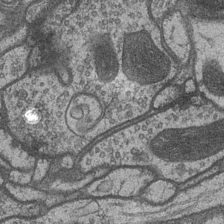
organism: Drosophila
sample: Optic medulla